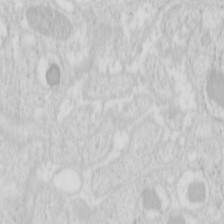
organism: Mouse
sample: Pancreas